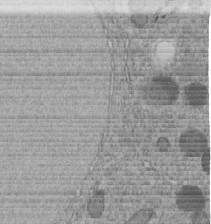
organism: C. elegans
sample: C. elegans embryo early stage